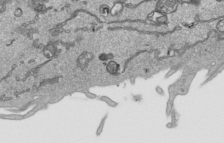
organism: Human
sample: Mitochondria in HCT116 cells